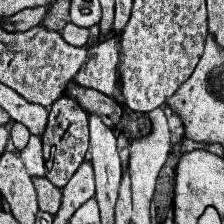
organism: Human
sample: Temporal Lobe